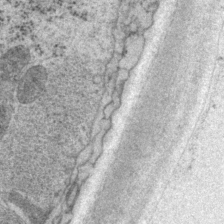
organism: P. pacificus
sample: Pharynx